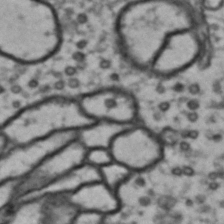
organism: Drosophila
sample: Brain